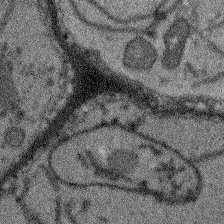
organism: Arabidopsis thaliana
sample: Root tip